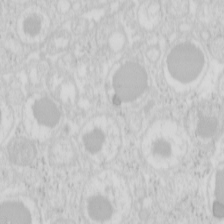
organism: Mouse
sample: Pancreas